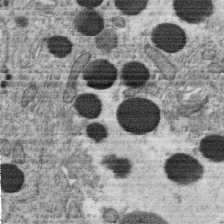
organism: C. elegans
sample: C. elegans oocyte; sperm cells